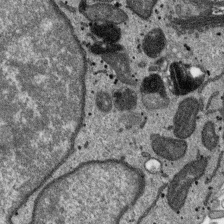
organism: Human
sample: Lung epithelial cells, uninfected (mock) control